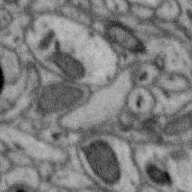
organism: Zebra finch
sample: Brain